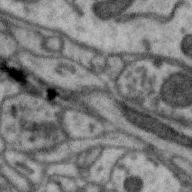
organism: Zebra finch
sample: Brain